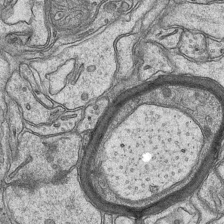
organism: Mouse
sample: CA1 Hippocampus